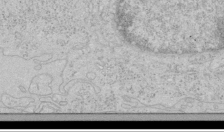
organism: Human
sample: Mitochondria in HCT116 cells